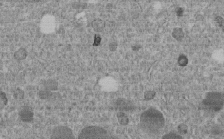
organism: C. elegans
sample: C. elegans embryo early stage